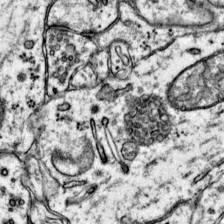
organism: Mouse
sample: Primary visual cortex